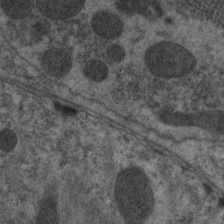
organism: C. elegans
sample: Pharynx